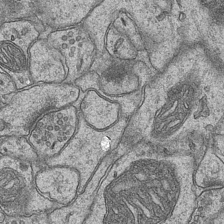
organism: Mouse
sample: CA1 Hippocampus